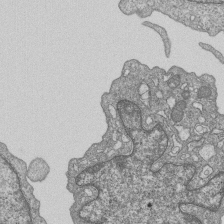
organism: Human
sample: MDA-MB-231 cells